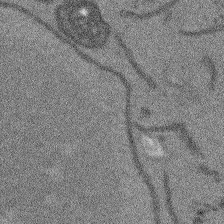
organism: Arabidopsis thaliana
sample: Root tip